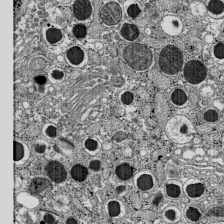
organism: C57BL Mouse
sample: Pancreatic islet